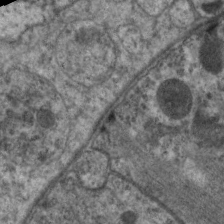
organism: C. elegans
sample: Pharynx